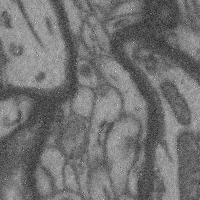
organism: Mouse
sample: Cerebral cortex